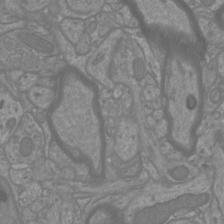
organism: Mouse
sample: Cortical neurons